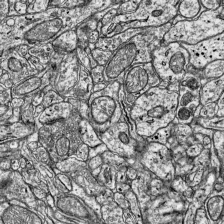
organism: Mouse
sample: Visual Cortex